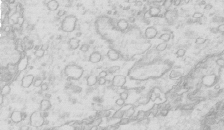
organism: Mouse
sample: Multiciliated cells